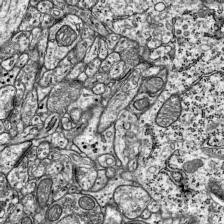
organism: Mouse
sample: Visual Cortex